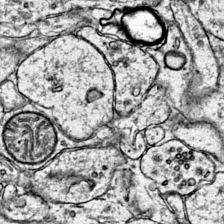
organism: Mouse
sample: Primary visual cortex